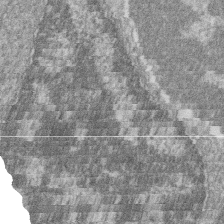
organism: Zebrafish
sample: Cilia; retinal pigment epithelium